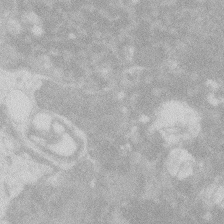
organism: Zebrafish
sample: Macrophage